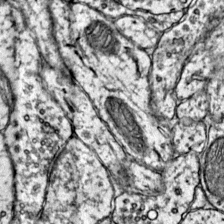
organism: Mouse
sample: Primary visual cortex